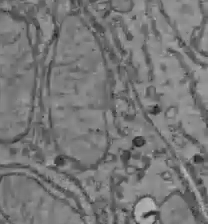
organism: C57BL Mouse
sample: Liver